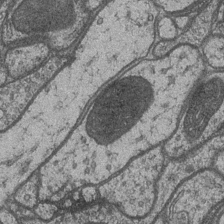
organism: Drosophila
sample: Optic medulla